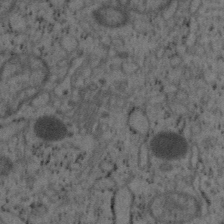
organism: Human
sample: HeLa cells